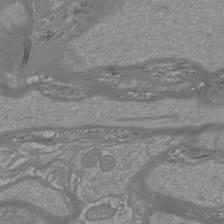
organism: Mouse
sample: Cortical neurons